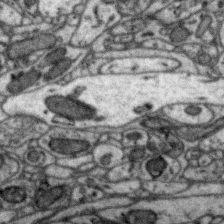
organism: Zebra finch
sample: Brain